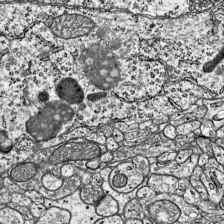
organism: Mouse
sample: Visual Cortex